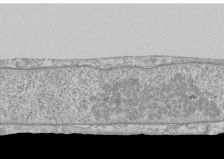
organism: Human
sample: CRL-1474